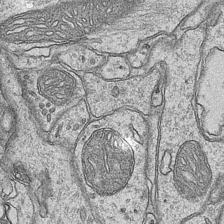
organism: Mouse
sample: CA1 Hippocampus